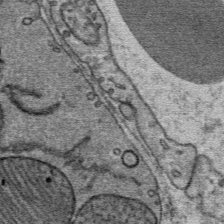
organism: Mouse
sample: Mouse Salivary gland